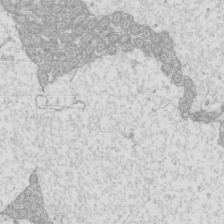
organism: Mouse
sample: Cilia; mouse epididymis